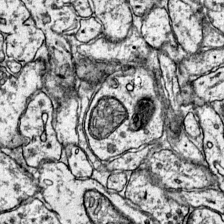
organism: Mouse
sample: Primary visual cortex